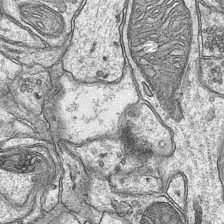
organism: Mouse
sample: CA1 Hippocampus